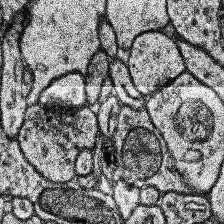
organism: Human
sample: Temporal Lobe